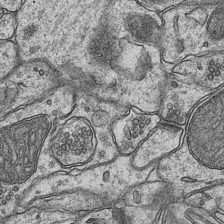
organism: Mouse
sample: CA1 Hippocampus